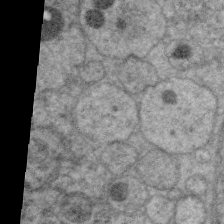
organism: C. elegans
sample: Pharynx